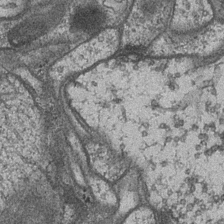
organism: Drosophila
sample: Optic medulla